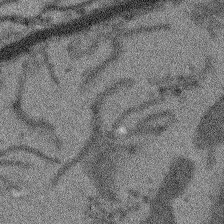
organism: Arabidopsis thaliana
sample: Root tip